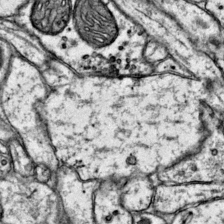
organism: Mouse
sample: Primary visual cortex